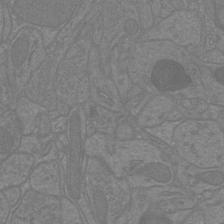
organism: Mouse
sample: Cortical neurons